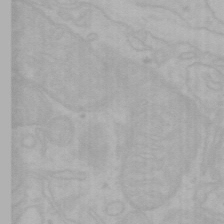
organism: Mouse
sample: Choroid plexus